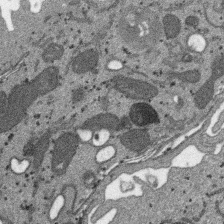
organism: Human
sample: Lung epithelial cells infected with SARS-CoV-2